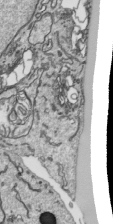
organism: Human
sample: Mitochondria in HCT116 cells